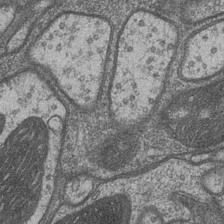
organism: Drosophila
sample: Optic medulla